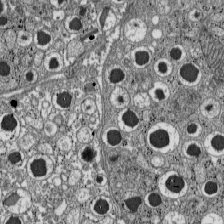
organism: C57BL Mouse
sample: Pancreatic islet